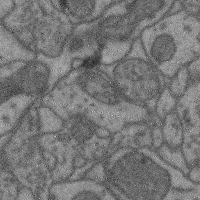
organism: Mouse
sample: Cerebral cortex